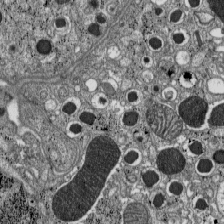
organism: C57BL Mouse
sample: Pancreatic islet